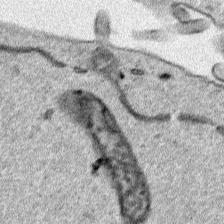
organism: Human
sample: Mitochondria in HCT116 cells